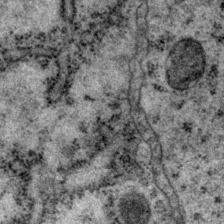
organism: P. pacificus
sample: Pharynx